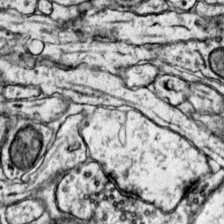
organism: Mouse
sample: Primary visual cortex